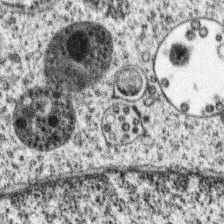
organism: Human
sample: HeLa cells